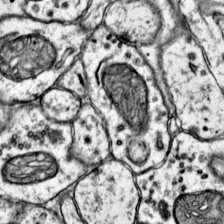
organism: Mouse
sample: Primary visual cortex